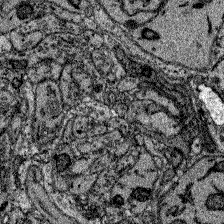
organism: Zebrafish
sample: Larval olfactory bulb